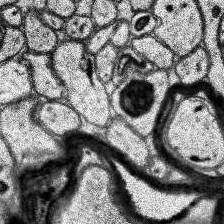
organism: Human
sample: Temporal Lobe